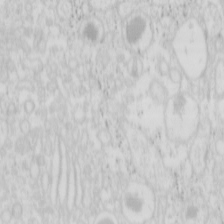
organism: Mouse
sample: Pancreas